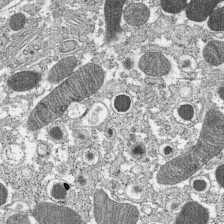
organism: C57BL Mouse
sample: Pancreatic islet